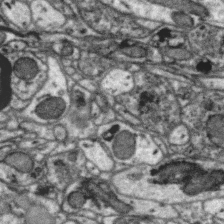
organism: Zebra finch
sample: Brain